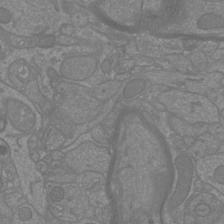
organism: Mouse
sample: Cortical neurons